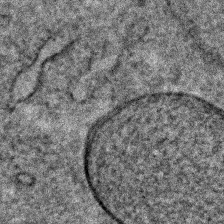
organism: C. elegans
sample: C. elegans embryo